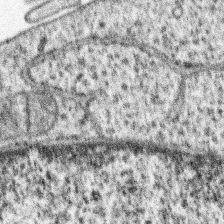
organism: Human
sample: HeLa cells